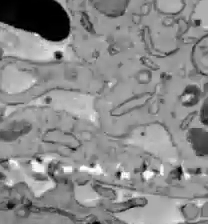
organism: C57BL Mouse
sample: Liver